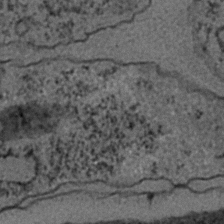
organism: C. elegans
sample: C. elegans embryo